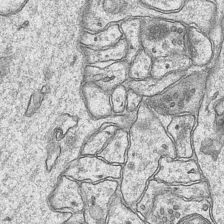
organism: Mouse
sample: CA1 Hippocampus